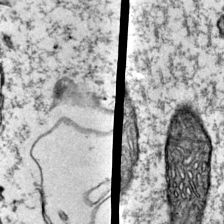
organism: Mouse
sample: Primary visual cortex